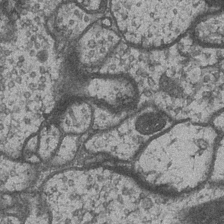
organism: Drosophila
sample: Optic medulla